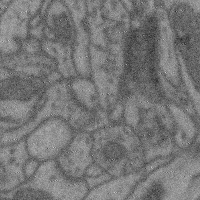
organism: Mouse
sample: Cerebral cortex